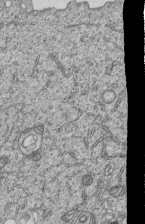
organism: Human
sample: MDA-MB-231 cells